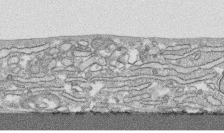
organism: Human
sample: CRL-1474